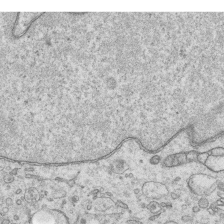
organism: Human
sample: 1205lu cells